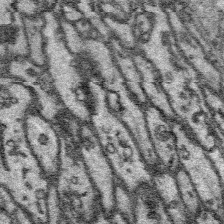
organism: Platynereis dumerilii